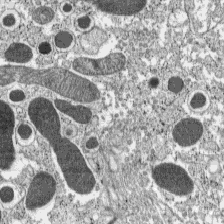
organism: C57BL Mouse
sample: Pancreatic islet